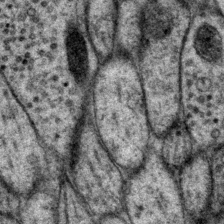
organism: P. pacificus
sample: Pharynx